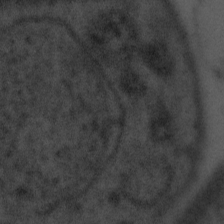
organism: Tuwongella immobilis